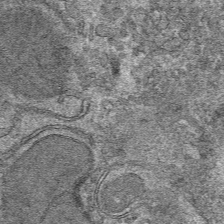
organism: Mouse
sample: Mouse hepatocytes